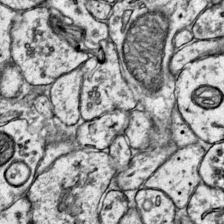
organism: Mouse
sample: Primary visual cortex